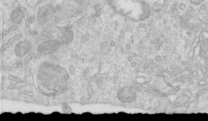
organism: Human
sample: Centriole in RPE cells